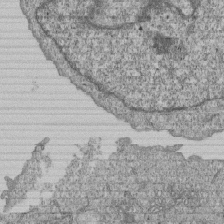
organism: Human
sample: MDA-MB-231 cells